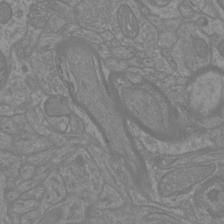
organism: Mouse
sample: Cortical neurons